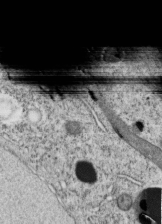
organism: C. elegans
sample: C. elegans embryo early stage